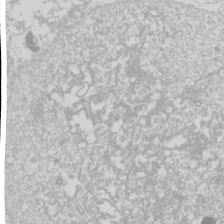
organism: Drosophila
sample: Cell division; meiosis; drosophila spermatocytes